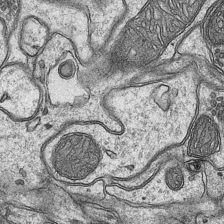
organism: Mouse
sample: CA1 Hippocampus